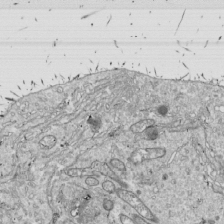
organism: Drosophila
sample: Cell division; meiosis; drosophila spermatocytes